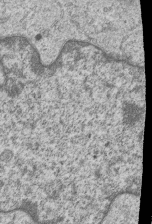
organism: Human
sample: MDA-MB-231 cells